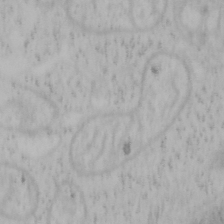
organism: Mouse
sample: OT-I killer T cells with ID8 ovarian cancer cells